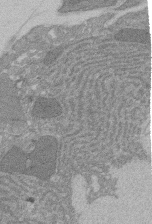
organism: Rat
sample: Salivary granule